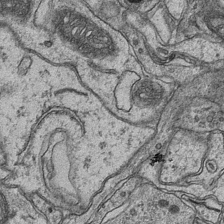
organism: Mouse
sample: CA1 Hippocampus